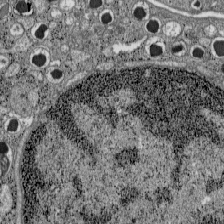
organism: C57BL Mouse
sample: Pancreatic islet